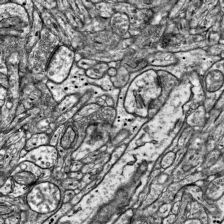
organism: Mouse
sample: Visual Cortex